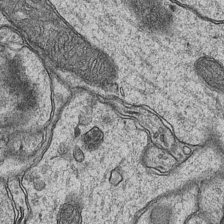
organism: Mouse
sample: CA1 Hippocampus